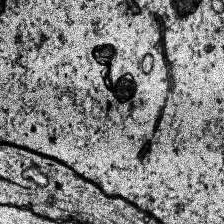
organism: Human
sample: Temporal Lobe